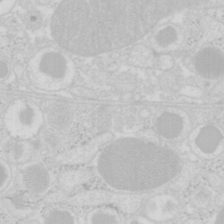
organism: Mouse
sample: Pancreas